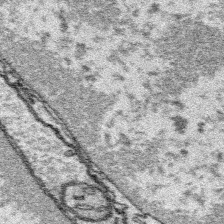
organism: Platynereis dumerilii